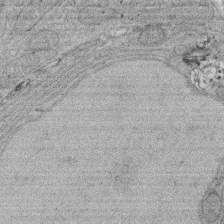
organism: Rat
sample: Salivary granule